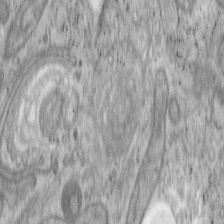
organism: Human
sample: HeLa cells